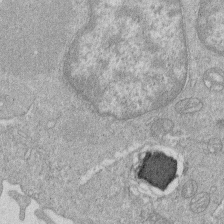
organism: Human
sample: Macrophage cells